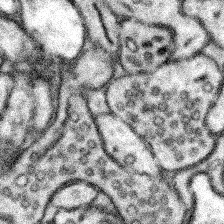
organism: Mouse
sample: Somatosensory cortex neuropil